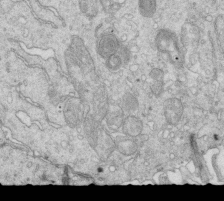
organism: Mouse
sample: Multiciliated cells